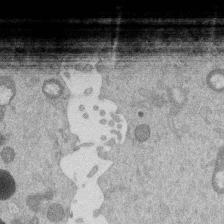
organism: Mouse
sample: Dividing mouse embryo 1 cell stage